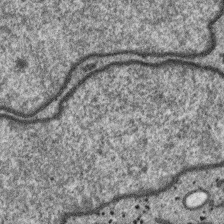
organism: Human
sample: Lung epithelial cells infected with SARS-CoV-2